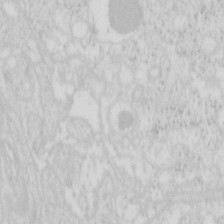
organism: Mouse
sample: Pancreas